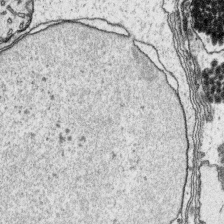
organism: Platynereis dumerilii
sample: Parapodia